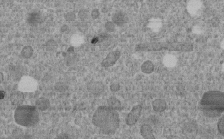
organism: C. elegans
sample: C. elegans embryo early stage